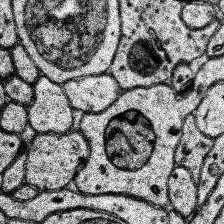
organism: Human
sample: Temporal Lobe